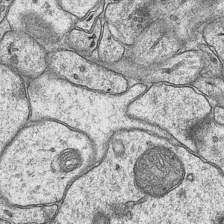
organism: Mouse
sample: CA1 Hippocampus